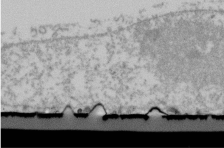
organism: Human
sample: U2-OS cells